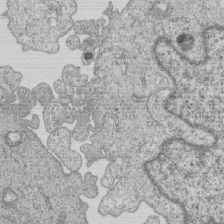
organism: Human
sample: MDA-MB-231 cells